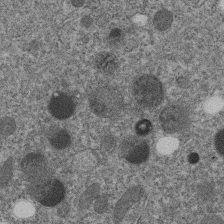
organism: C. elegans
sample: C. elegans embryo early stage